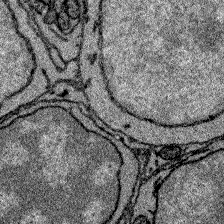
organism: Zebrafish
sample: Larval olfactory bulb